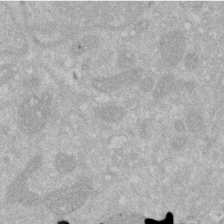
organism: Human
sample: HIV infected U937 cells